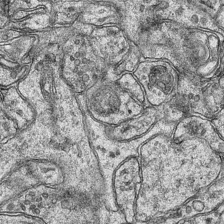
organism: Mouse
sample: CA1 Hippocampus